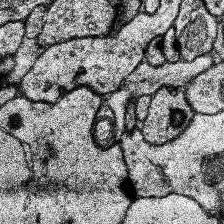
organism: Human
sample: Temporal Lobe